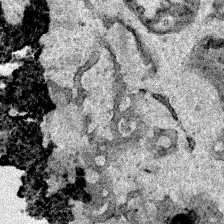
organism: Human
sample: Mitochondria in HCT116 cells